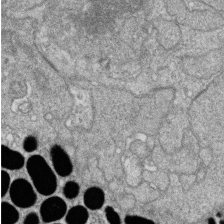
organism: Zebrafish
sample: Cilia; retinal pigment epithelium